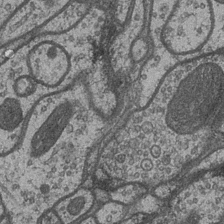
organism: Drosophila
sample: Optic medulla